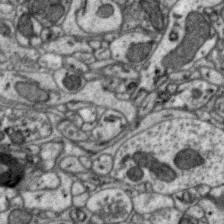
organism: Zebra finch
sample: Brain